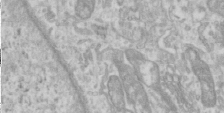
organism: Human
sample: Cilia; basal body in RPE cells